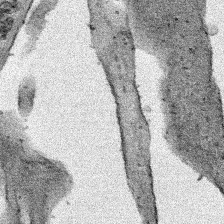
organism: Human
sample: Mitochondria in HCT116 cells